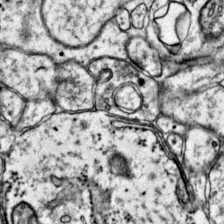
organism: Mouse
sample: Primary visual cortex